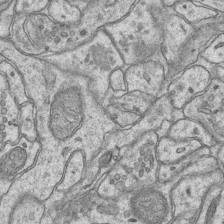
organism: Mouse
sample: CA1 Hippocampus